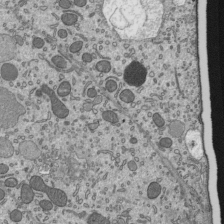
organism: Mouse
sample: Mouse epididymis efferent ductule cilia